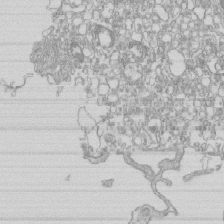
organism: Mouse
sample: Macrophages